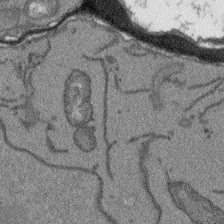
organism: Arabidopsis thaliana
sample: Root tip